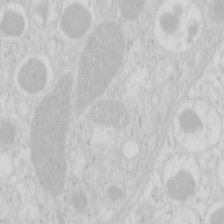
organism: Mouse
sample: Pancreas